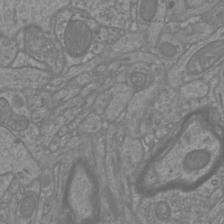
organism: Mouse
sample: Cortical neurons